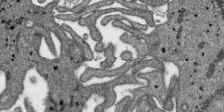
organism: Human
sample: Lung epithelial cells, uninfected (mock) control